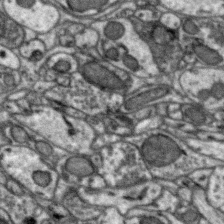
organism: Zebra finch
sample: Brain